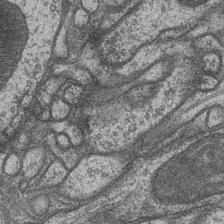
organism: Drosophila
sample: Optic medulla